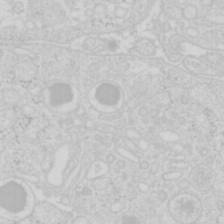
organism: Mouse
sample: Pancreas